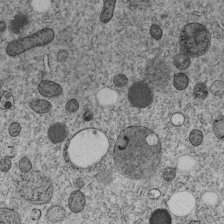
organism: C. elegans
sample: C. elegans embryo early stage